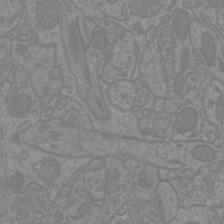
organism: Mouse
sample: Cortical neurons